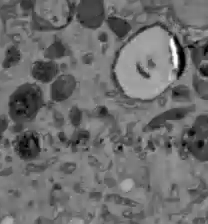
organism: C57BL Mouse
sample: Liver